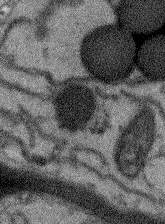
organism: Arabidopsis thaliana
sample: Root tip